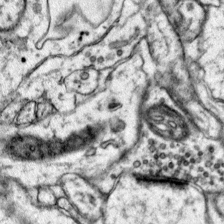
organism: Mouse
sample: Primary visual cortex